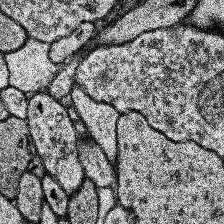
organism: Human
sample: Temporal Lobe